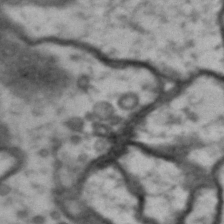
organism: Drosophila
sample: Brain